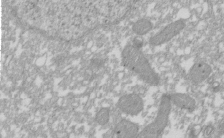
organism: Xenopus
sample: Cilia; centrioles in frog embryo cells